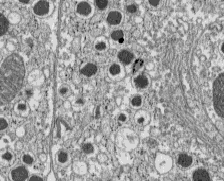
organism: C57BL Mouse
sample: Pancreatic islet